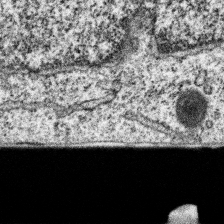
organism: Human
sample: HeLa cells